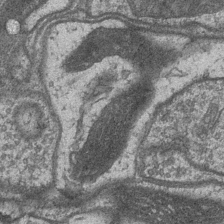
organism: Drosophila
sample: Optic medulla